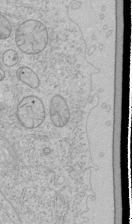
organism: Human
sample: Mitochondria in HCT116 cells